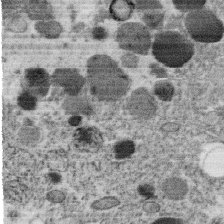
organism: C. elegans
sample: C. elegans oocyte; sperm cells